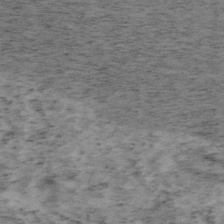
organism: Mouse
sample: OT-I killer T cells with ID8 ovarian cancer cells